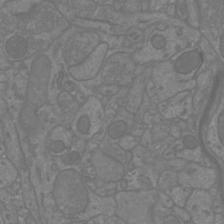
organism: Mouse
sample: Cortical neurons